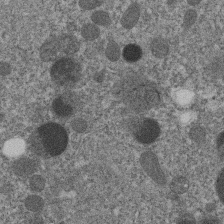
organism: C. elegans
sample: C. elegans embryo early stage